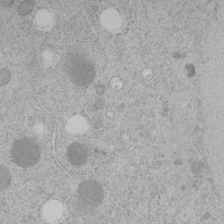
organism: C. elegans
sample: C. elegans embryo early stage